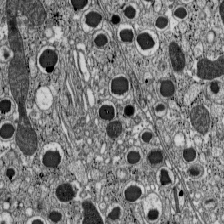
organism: C57BL Mouse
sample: Pancreatic islet